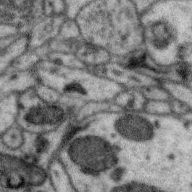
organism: Zebra finch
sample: Brain